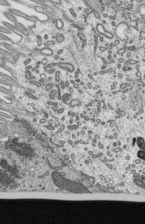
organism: Mouse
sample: Mouse epididymis efferent ductule cilia